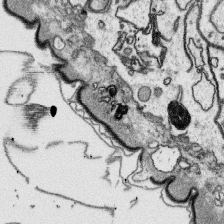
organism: Platynereis dumerilii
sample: Parapodia